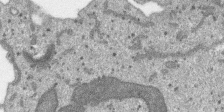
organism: Human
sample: Lung epithelial cells infected with SARS-CoV-2